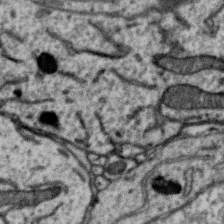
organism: Zebra finch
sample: Brain